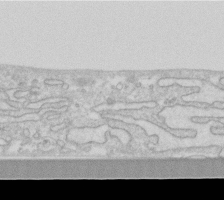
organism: Human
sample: Fibroblast cells